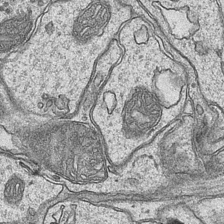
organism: Mouse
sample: CA1 Hippocampus